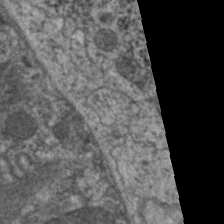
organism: C. elegans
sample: Pharynx